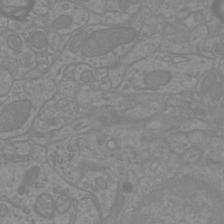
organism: Mouse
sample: Cortical neurons